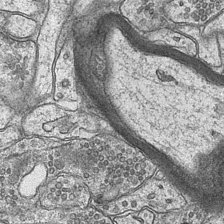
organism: Mouse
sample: CA1 Hippocampus